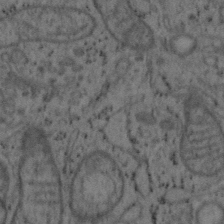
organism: Human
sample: HeLa cells